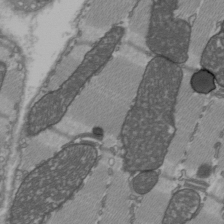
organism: C57BL Mouse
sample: Heart